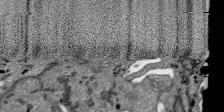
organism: Human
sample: Lung epithelial cells, uninfected (mock) control